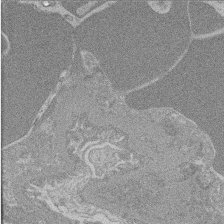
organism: Mouse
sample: Glomerulus